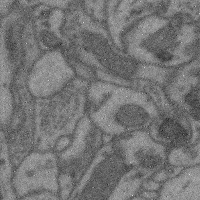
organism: Mouse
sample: Cerebral cortex